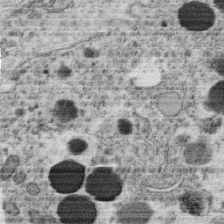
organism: C. elegans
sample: C. elegans oocyte; sperm cells